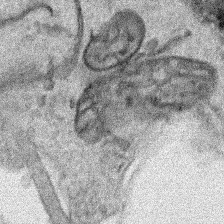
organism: Human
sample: Mitochondria in HCT116 cells